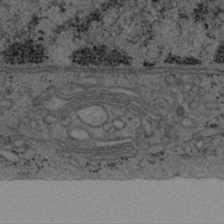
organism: Human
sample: HeLa cells